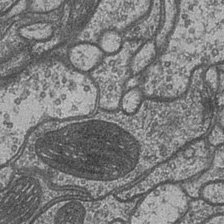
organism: Drosophila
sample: Optic medulla